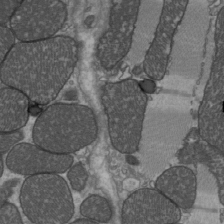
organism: C57BL Mouse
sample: Heart